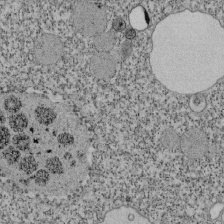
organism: Tetrahymena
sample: Cilia in tetrahymena